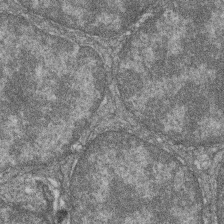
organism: Zebrafish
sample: Cilia; retinal pigment epithelium